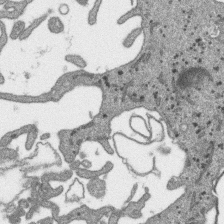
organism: Human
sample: Lung epithelial cells infected with SARS-CoV-2